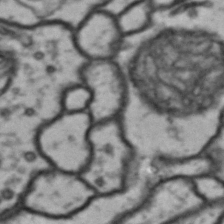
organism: Drosophila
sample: Brain